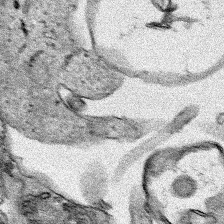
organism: Human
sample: Mitochondria in HCT116 cells